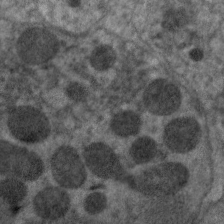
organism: C. elegans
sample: Pharynx